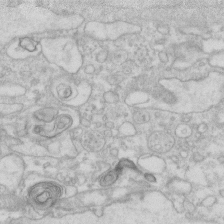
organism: Human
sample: Fibroblast cells